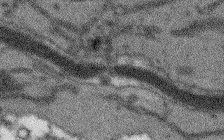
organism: Arabidopsis thaliana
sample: Root tip